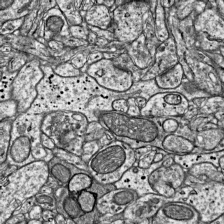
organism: Mouse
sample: Visual Cortex